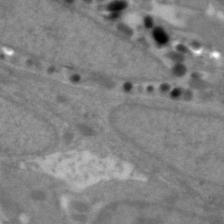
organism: Zebrafish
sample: Zebrafish embryo